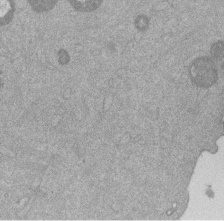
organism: Mouse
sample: Dividing mouse embryo 1 cell stage